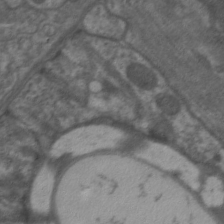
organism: C. elegans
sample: Pharynx